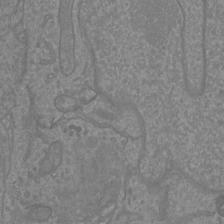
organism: Mouse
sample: Cortical neurons